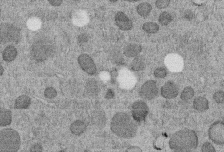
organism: C. elegans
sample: C. elegans embryo early stage